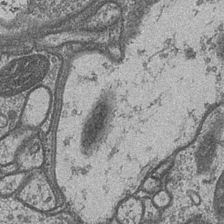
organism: Drosophila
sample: Optic medulla